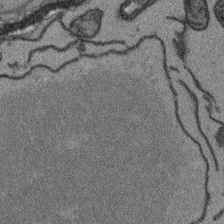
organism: Arabidopsis thaliana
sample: Root tip